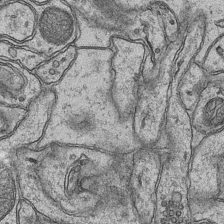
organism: Mouse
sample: CA1 Hippocampus